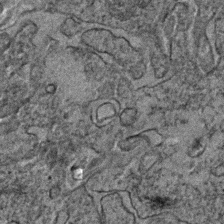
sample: Trachea